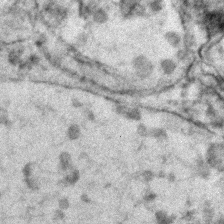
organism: Zebrafish